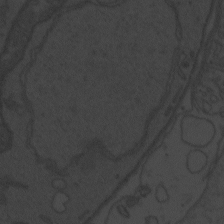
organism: Zebrafish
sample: Macrophage infected with Toxoplasma gondii